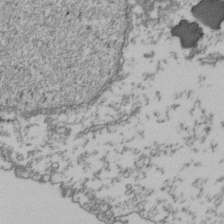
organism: Human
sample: Activated Jurkat CD4+ T cells